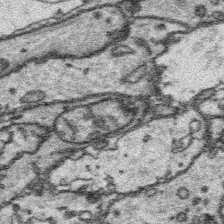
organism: Platynereis dumerilii